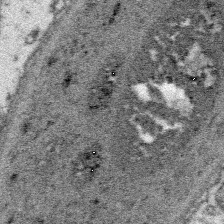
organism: Platynereis dumerilii